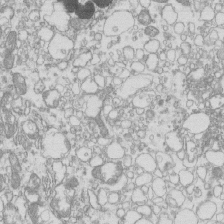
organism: Mouse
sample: Macrophages